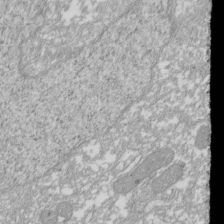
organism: Xenopus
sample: Cilia; centrioles in frog embryo cells